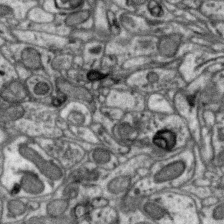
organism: Zebra finch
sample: Brain